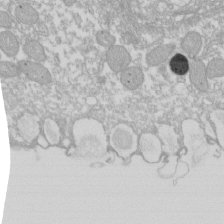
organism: Xenopus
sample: Cilia; centrioles in frog embryo cells